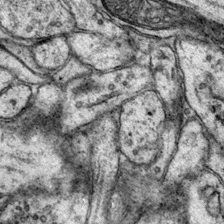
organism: Mouse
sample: Primary visual cortex